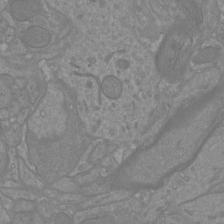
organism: Mouse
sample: Cortical neurons